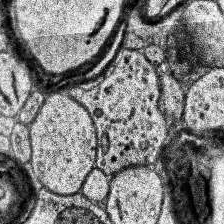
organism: Human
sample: Temporal Lobe